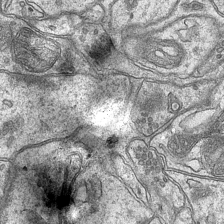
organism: Mouse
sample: CA1 Hippocampus